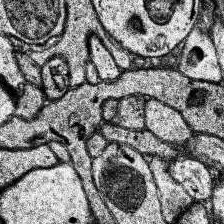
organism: Human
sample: Temporal Lobe